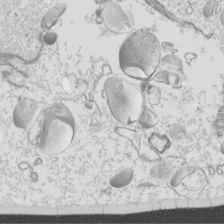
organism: Mouse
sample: Cilia; mouse epididymis